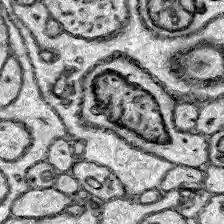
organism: Zebrafish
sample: Brain